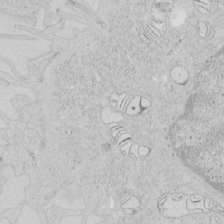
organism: Human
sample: Mitochondria in HCT116 cells